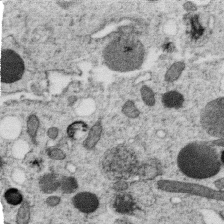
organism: C. elegans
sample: C. elegans oocyte; sperm cells